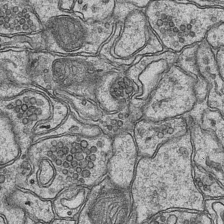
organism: Mouse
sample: CA1 Hippocampus